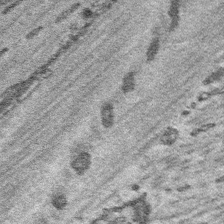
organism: Platynereis dumerilii